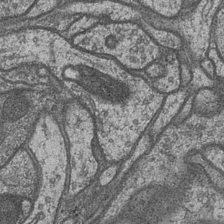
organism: Drosophila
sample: Optic medulla